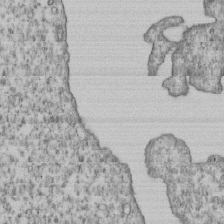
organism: Human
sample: MDA-MB-231 cells